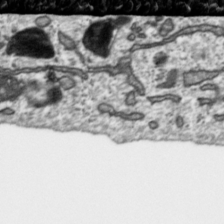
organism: Toxoplasma gondii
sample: Parasites in a vacuole inside a host cell